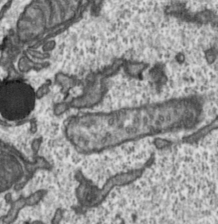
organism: Toxoplasma gondii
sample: Parasites in a vacuole inside a host cell